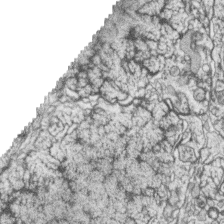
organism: Zebrafish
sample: synaptic ribbons in rod cells and cone cells